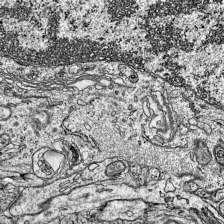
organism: Mouse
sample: Visual Cortex